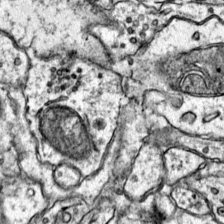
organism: Mouse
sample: Primary visual cortex